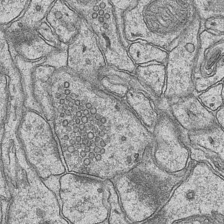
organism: Mouse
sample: CA1 Hippocampus